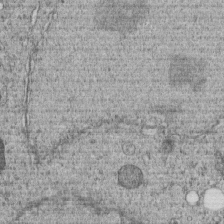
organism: C. elegans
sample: C. elegans embryo early stage